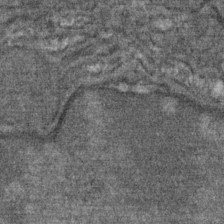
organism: Mouse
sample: Mouse Salivary gland